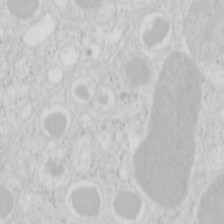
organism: Mouse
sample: Pancreas